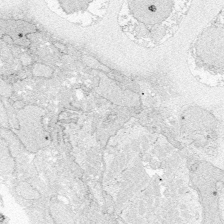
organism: Zebrafish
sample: Whole-Brain